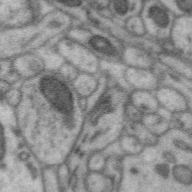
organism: Zebra finch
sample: Brain